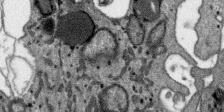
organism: Human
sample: Lung epithelial cells, uninfected (mock) control